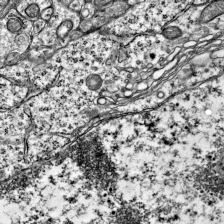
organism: Mouse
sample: Visual Cortex